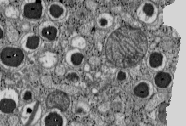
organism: C57BL Mouse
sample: Pancreatic islet